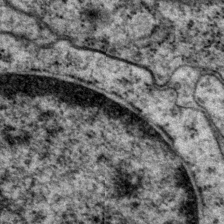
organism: P. pacificus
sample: Pharynx